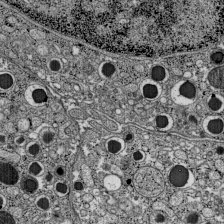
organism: C57BL Mouse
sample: Pancreatic islet